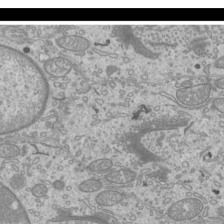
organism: Mouse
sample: Cilia; mouse epididymis